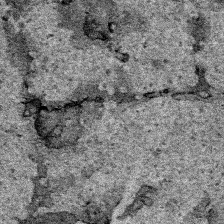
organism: Human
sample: Mitochondria in HCT116 cells